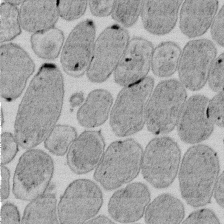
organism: E. coli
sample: Bacterial nucleoid